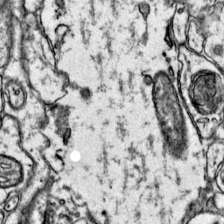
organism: Mouse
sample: Primary visual cortex